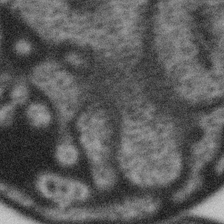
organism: Gemmata obscuriglobus